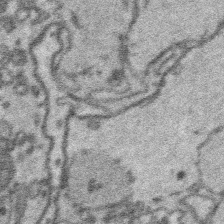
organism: Platynereis dumerilii